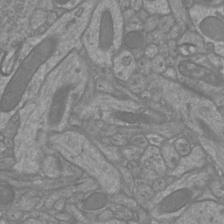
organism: Mouse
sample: Cortical neurons